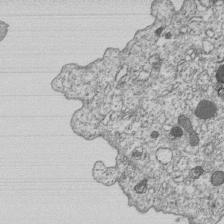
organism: Human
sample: MDA-MB-231 cells